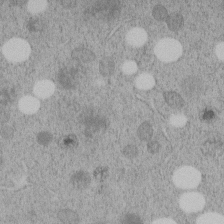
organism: C. elegans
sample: C. elegans embryo early stage